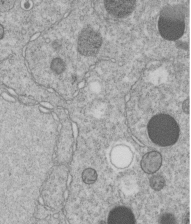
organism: C. elegans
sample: C. elegans embryo early stage